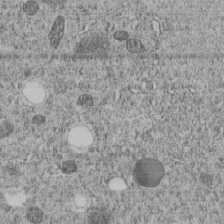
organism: C. elegans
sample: C. elegans embryo early stage